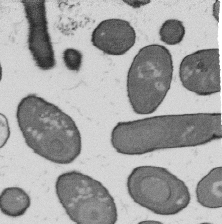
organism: B. subtilis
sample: Bacterial spore